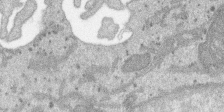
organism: Human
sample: Lung epithelial cells infected with SARS-CoV-2